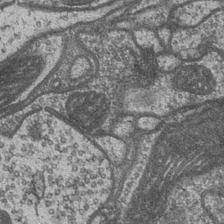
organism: Drosophila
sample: Optic medulla